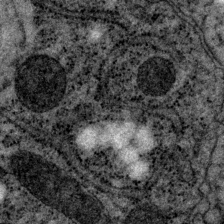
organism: P. pacificus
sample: Pharynx